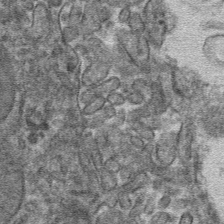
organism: Mouse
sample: Mouse hepatocytes